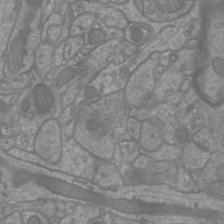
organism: Mouse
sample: Cortical neurons